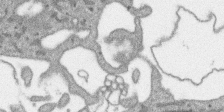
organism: Human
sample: Lung epithelial cells infected with SARS-CoV-2